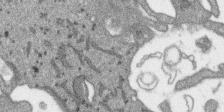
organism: Human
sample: Lung epithelial cells infected with SARS-CoV-2